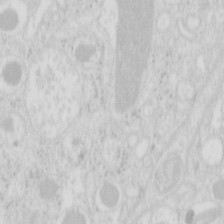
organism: Mouse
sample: Pancreas